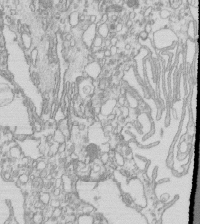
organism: Mouse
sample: Macrophages